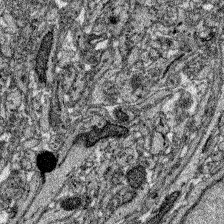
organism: Zebrafish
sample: Larval olfactory bulb